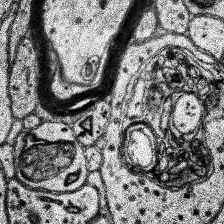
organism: Human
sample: Temporal Lobe